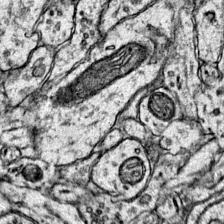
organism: Mouse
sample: Primary visual cortex